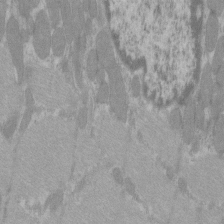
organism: C57BL Mouse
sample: Tibialis anterior muscle cell